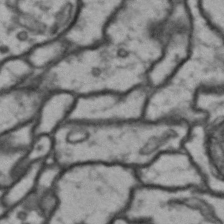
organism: Drosophila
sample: Brain